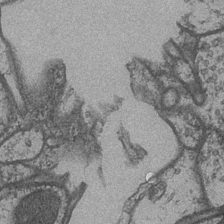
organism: Drosophila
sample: Optic medulla